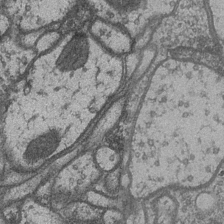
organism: Drosophila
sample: Optic medulla